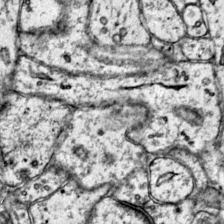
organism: Mouse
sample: Primary visual cortex